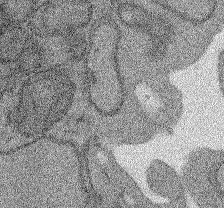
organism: Human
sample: HeLa cells